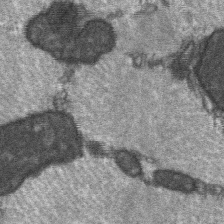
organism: C57BL Mouse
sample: Soleus